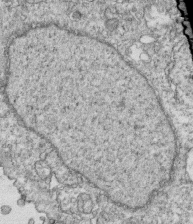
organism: Human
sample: HeLa cell HIV synapse